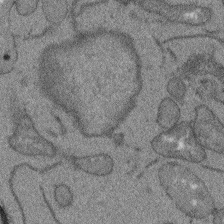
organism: Arabidopsis thaliana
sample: Root tip